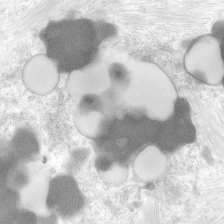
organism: Human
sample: Neocortex